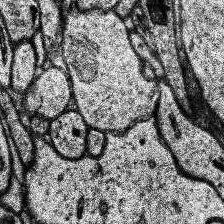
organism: Human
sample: Temporal Lobe